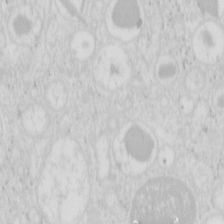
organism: Mouse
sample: Pancreas